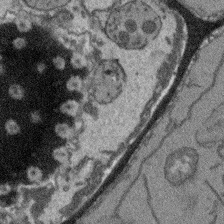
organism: Arabidopsis thaliana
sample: Root tip